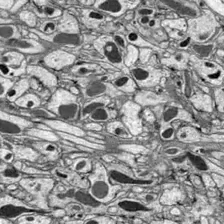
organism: Drosophila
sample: Optic lobe